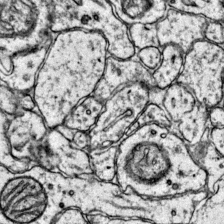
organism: Mouse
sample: Primary visual cortex